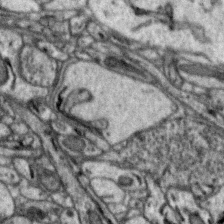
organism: Zebra finch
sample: Brain